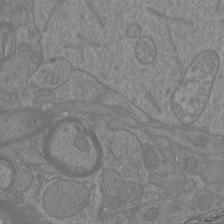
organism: Mouse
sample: Cortical neurons